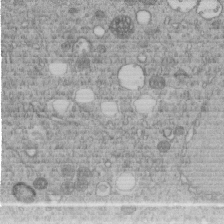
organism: C. elegans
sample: C. elegans embryo early stage